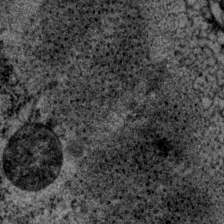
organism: P. pacificus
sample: Pharynx